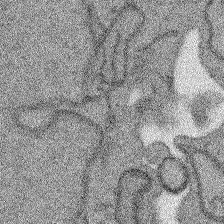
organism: Human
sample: HeLa cells